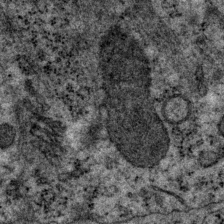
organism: P. pacificus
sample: Pharynx